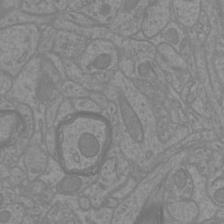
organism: Mouse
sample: Cortical neurons